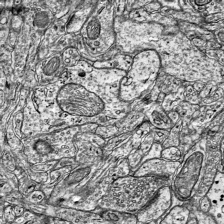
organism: Mouse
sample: Visual Cortex